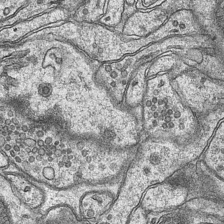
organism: Mouse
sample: CA1 Hippocampus